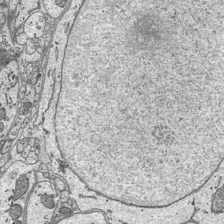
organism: Mouse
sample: Suprachiasmatic nucleus